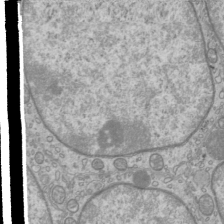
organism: Mouse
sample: Cilia; mouse epididymis